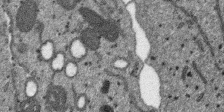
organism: Human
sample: Lung epithelial cells infected with SARS-CoV-2